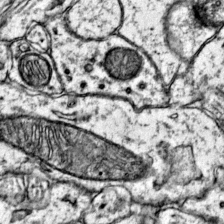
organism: Mouse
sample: Primary visual cortex